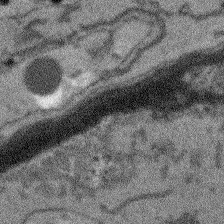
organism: Arabidopsis thaliana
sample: Root tip